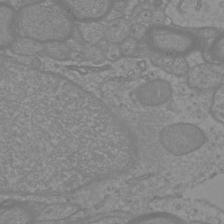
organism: Mouse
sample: Cortical neurons